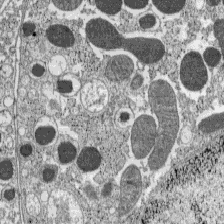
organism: C57BL Mouse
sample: Pancreatic islet